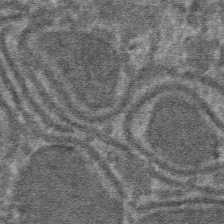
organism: Mouse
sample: Mouse hepatocytes